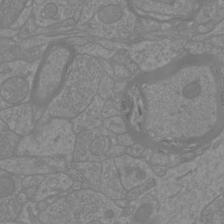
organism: Mouse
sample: Cortical neurons